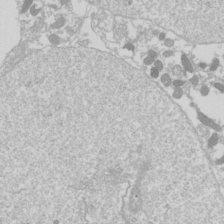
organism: Drosophila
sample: Cell division; meiosis; drosophila spermatocytes